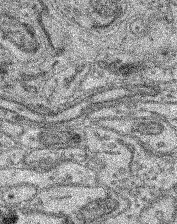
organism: Mouse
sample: Retina